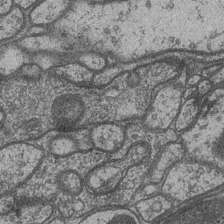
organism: Drosophila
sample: Optic medulla